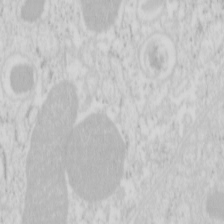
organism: Mouse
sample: Pancreas